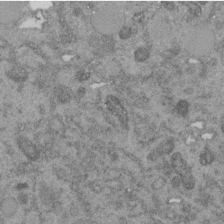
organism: C. elegans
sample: C. elegans embryo early stage